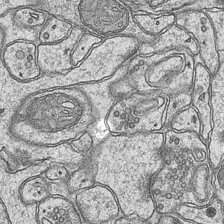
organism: Mouse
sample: CA1 Hippocampus